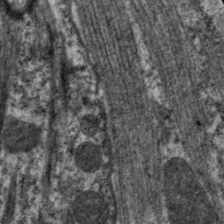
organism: C. elegans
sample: Pharynx